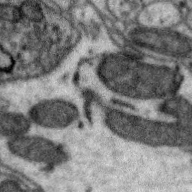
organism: Zebra finch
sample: Brain